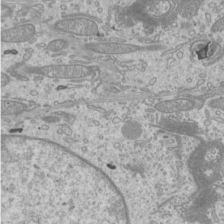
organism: Mouse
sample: Cilia; mouse epididymis